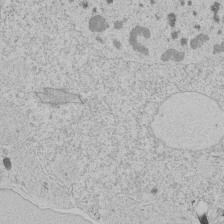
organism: Tetrahymena